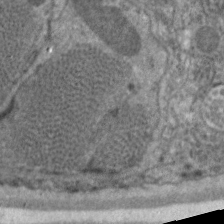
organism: C. elegans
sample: Pharynx